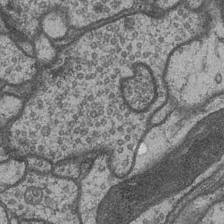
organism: Drosophila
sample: Optic medulla